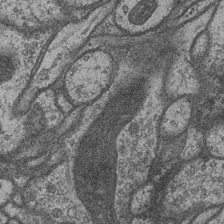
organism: Drosophila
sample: Optic medulla